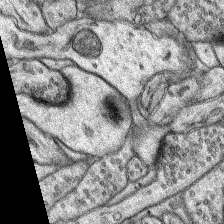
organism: Rat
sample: Hippocampus